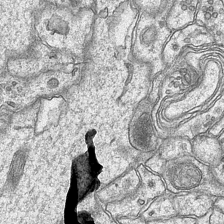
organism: Mouse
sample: CA1 Hippocampus